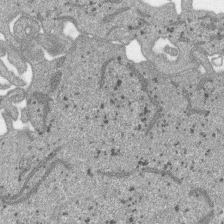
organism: Human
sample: Lung epithelial cells infected with SARS-CoV-2